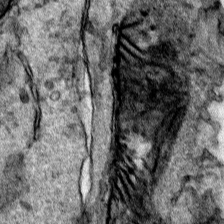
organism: Human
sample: Mitochondria in HCT116 cells